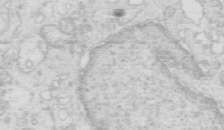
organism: Mouse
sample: Multiciliated cells